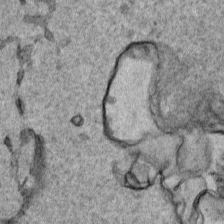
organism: Human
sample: Mitochondria in HCT116 cells